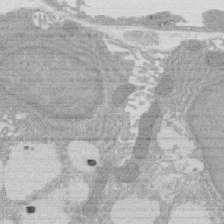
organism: Rat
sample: Salivary granule